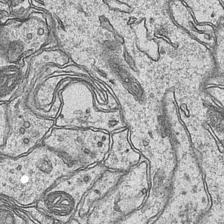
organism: Mouse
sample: CA1 Hippocampus